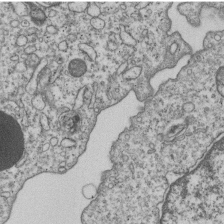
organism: Human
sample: MDA-MB-231 cells